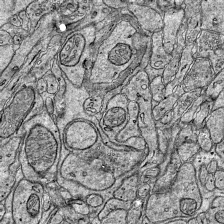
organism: Mouse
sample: Visual Cortex